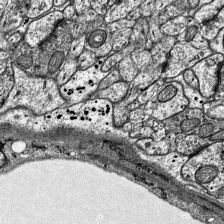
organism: Mouse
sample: Visual Cortex